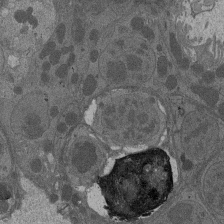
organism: Drosophila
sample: Antenna